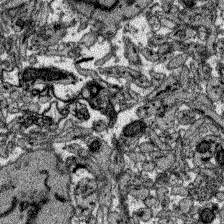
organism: Zebrafish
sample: Larval olfactory bulb